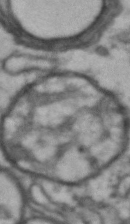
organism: Drosophila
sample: Brain